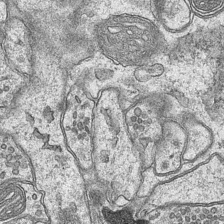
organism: Mouse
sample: CA1 Hippocampus